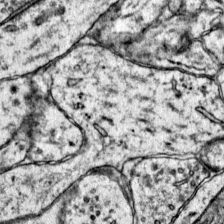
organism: Mouse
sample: Primary visual cortex